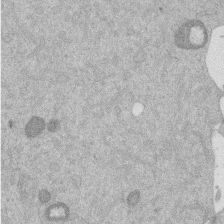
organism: Mouse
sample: Dividing mouse embryo 1 cell stage